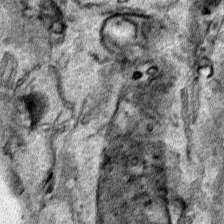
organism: Human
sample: Mitochondria in HCT116 cells